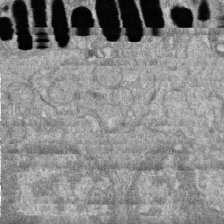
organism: Zebrafish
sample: Cilia; retinal pigment epithelium